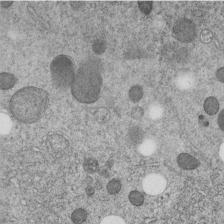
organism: C. elegans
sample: C. elegans embryo early stage